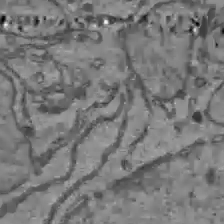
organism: C57BL Mouse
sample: Liver